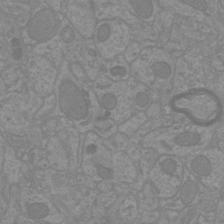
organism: Mouse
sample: Cortical neurons